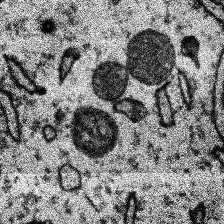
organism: Human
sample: Temporal Lobe